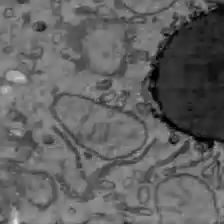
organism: C57BL Mouse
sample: Liver